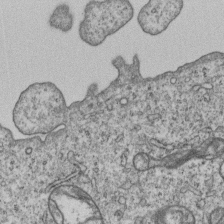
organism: Human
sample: MDA-MB-231 cells